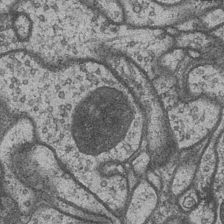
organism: Drosophila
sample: Optic medulla